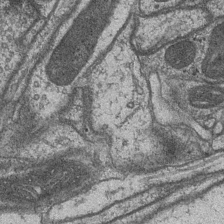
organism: Drosophila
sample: Optic medulla